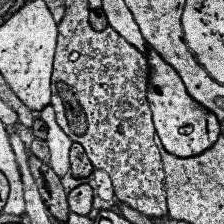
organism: Human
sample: Temporal Lobe